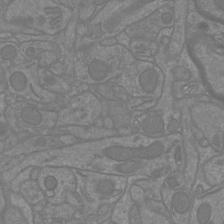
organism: Mouse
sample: Cortical neurons